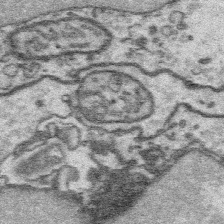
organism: Platynereis dumerilii